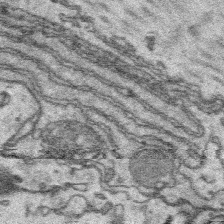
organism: Platynereis dumerilii